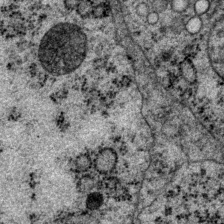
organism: P. pacificus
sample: Pharynx